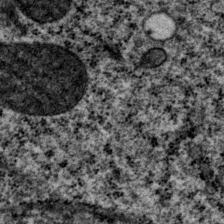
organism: P. pacificus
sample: Pharynx